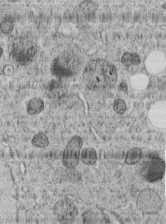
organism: C. elegans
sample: C. elegans embryo early stage